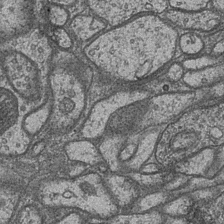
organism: Drosophila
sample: Optic medulla